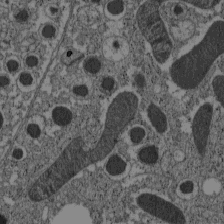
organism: C57BL Mouse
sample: Pancreatic islet